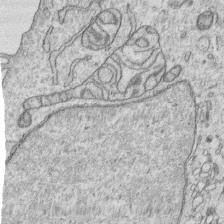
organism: Human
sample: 1205lu cells